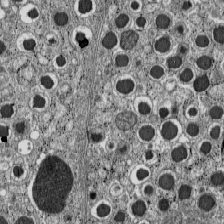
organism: C57BL Mouse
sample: Pancreatic islet